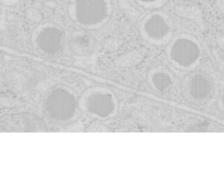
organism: Mouse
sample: Pancreas